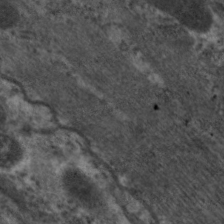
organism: C. elegans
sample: Pharynx